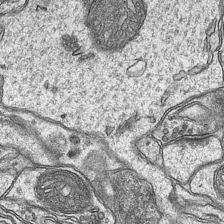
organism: Mouse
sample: CA1 Hippocampus